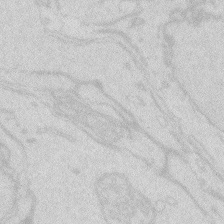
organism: Zebrafish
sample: Macrophage